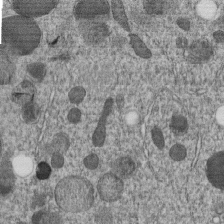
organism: C. elegans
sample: C. elegans embryo early stage